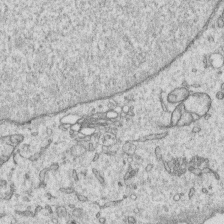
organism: Human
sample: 1205lu cells